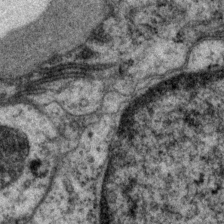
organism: P. pacificus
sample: Pharynx